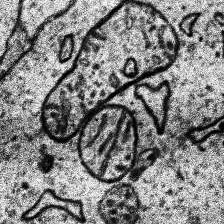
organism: Human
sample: Temporal Lobe